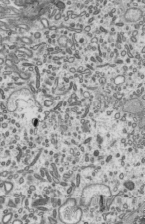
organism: Mouse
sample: Mouse epididymis efferent ductule cilia